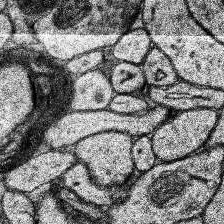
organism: Human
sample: Temporal Lobe